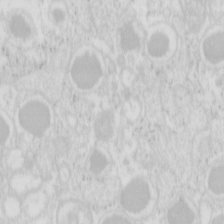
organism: Mouse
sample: Pancreas